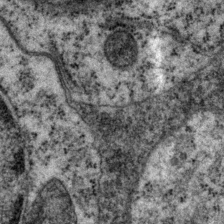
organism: P. pacificus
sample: Pharynx